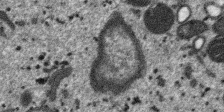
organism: Human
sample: Lung epithelial cells infected with SARS-CoV-2